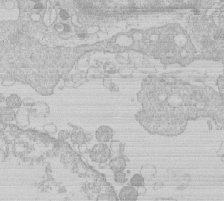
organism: Human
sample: Macrophage cells